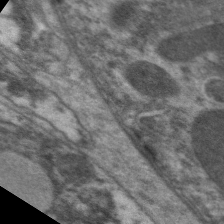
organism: C. elegans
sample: Pharynx